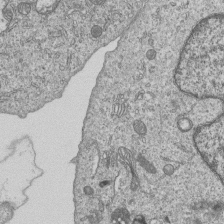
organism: Human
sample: MDA-MB-231 cells